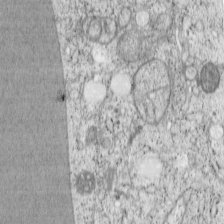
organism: African green monkey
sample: COS-7 cells